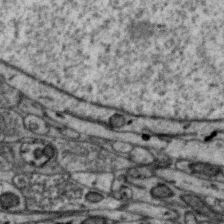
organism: Zebra finch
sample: Brain